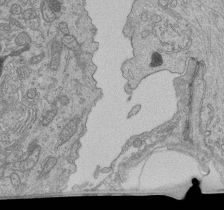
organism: Human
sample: Retinal organoid Rod and Cone cells